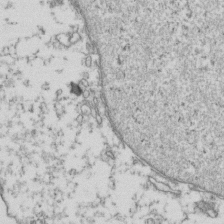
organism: Human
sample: Activated Jurkat CD4+ T cells